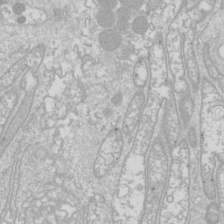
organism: Drosophila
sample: Cell division; meiosis; drosophila spermatocytes